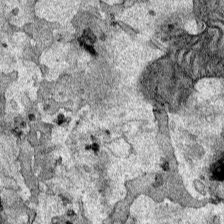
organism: Human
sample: Mitochondria in HCT116 cells